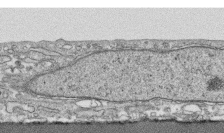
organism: Human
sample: CRL-1474